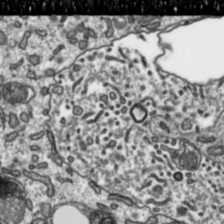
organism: Toxoplasma gondii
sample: Parasites in a vacuole inside a host cell